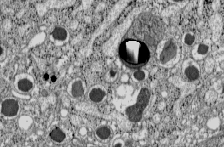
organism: C57BL Mouse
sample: Pancreatic islet